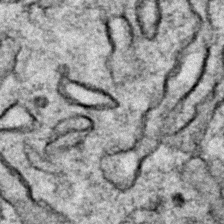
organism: Zebrafish